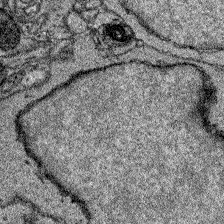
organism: Zebrafish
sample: Larval olfactory bulb